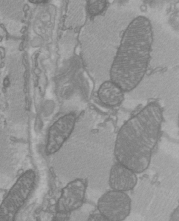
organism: C57BL Mouse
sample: Heart